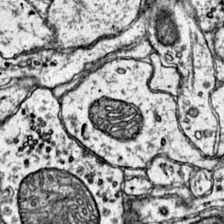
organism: Mouse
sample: Primary visual cortex